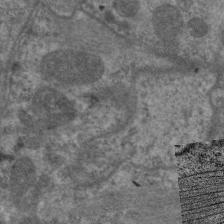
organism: C. elegans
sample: Pharynx